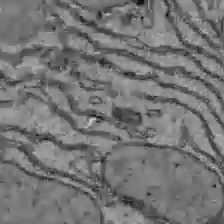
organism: C57BL Mouse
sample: Liver